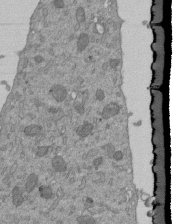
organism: Mouse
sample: ED-1 cell nuclei; centrioles